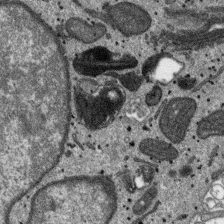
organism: Human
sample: Lung epithelial cells, uninfected (mock) control